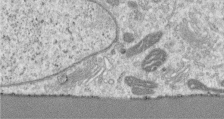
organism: Human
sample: Centriole in RPE cells